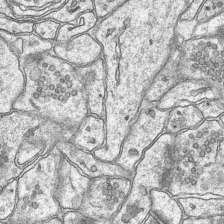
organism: Mouse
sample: CA1 Hippocampus